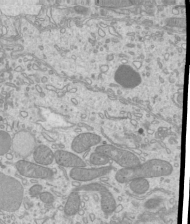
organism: Mouse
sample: Cilia; mouse epididymis